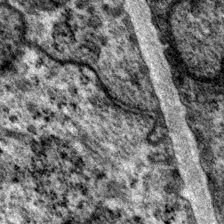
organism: P. pacificus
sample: Pharynx